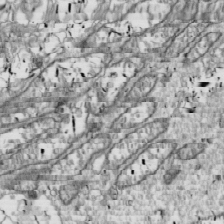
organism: Drosophila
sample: Cell division; meiosis; drosophila spermatocytes